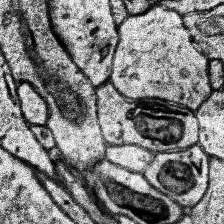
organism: Human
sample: Temporal Lobe